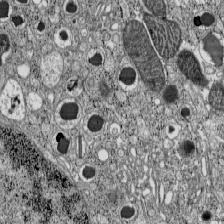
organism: C57BL Mouse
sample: Pancreatic islet